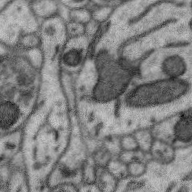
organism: Zebra finch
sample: Brain